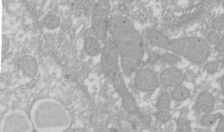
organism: Xenopus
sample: Cilia; centrioles in frog embryo cells